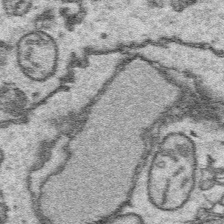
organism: Platynereis dumerilii